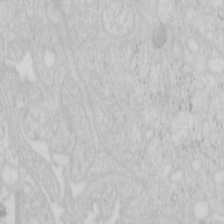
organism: Mouse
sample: Pancreas